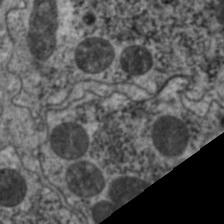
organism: C. elegans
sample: Pharynx